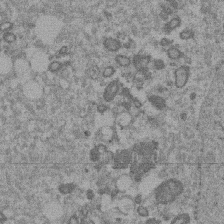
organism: Mouse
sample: Dividing mouse embryo 1 cell stage